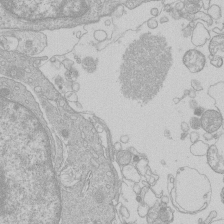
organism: Human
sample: Macrophage cells